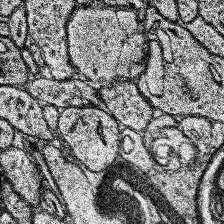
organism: Human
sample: Temporal Lobe